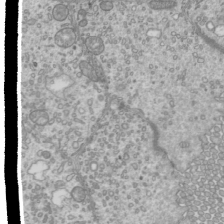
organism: Mouse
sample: Cilia; mouse epididymis